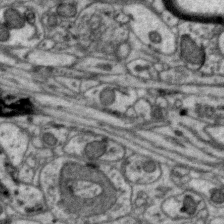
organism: Zebra finch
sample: Brain